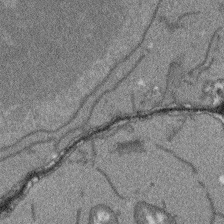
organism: Arabidopsis thaliana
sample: Root tip